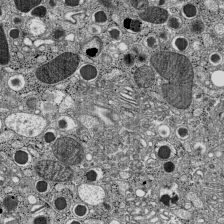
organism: C57BL Mouse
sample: Pancreatic islet